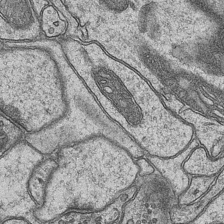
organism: Mouse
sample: CA1 Hippocampus